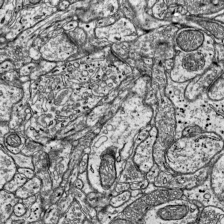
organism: Mouse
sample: Visual Cortex